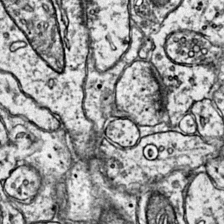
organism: Mouse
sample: Primary visual cortex